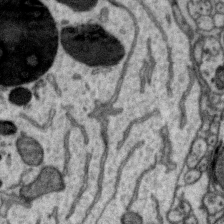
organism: Zebra finch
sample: Brain